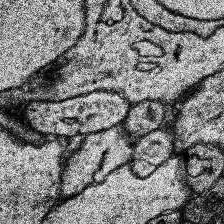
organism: Human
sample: Temporal Lobe